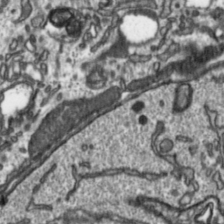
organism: Toxoplasma gondii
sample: Parasites in a vacuole inside a host cell